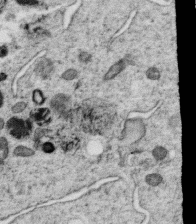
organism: C. elegans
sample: C. elegans oocyte; sperm cells